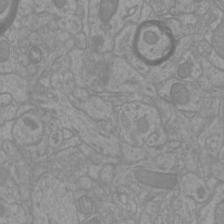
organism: Mouse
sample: Cortical neurons